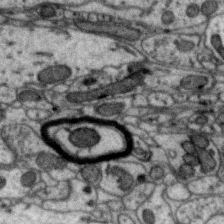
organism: Zebra finch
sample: Brain